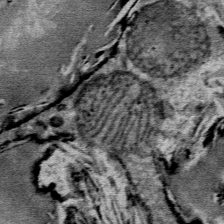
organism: Mouse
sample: Mouse Salivary gland